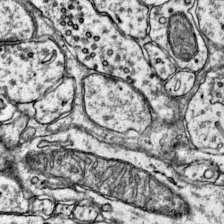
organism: Mouse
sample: Primary visual cortex